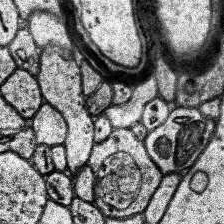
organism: Human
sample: Temporal Lobe